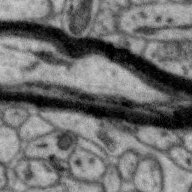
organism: Zebra finch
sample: Brain